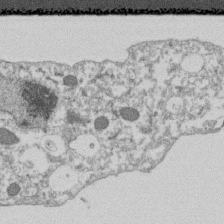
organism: Dictyostelium discoideum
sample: Dictyostelium multivesicular bodies